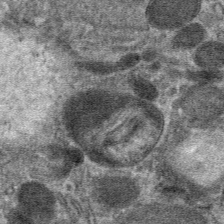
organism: Mouse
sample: Mouse hepatocytes